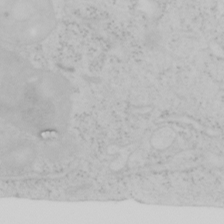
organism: Mouse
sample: OT-I killer T cells with ID8 ovarian cancer cells